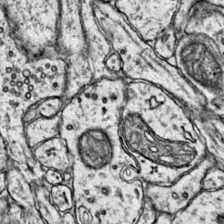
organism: Mouse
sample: Primary visual cortex